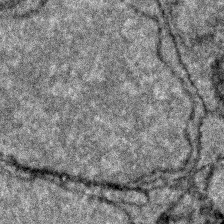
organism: Zebrafish